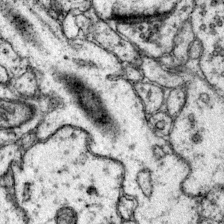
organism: Mouse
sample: Primary visual cortex